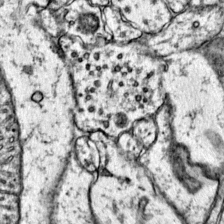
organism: Mouse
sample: Primary visual cortex